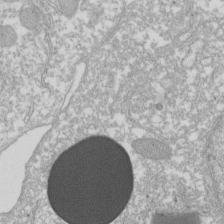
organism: Xenopus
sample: Cilia; centrioles in frog embryo cells